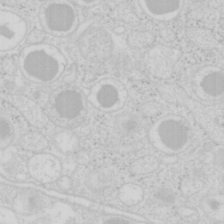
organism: Mouse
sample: Pancreas